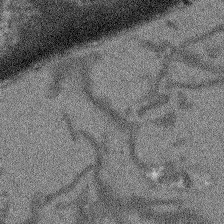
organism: Arabidopsis thaliana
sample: Root tip